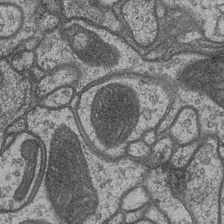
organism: Drosophila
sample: Optic medulla